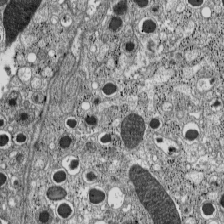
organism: C57BL Mouse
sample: Pancreatic islet